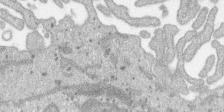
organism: Human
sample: Lung epithelial cells infected with SARS-CoV-2